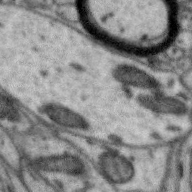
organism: Zebra finch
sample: Brain